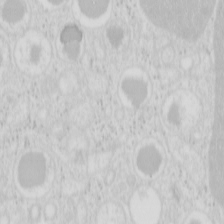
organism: Mouse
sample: Pancreas